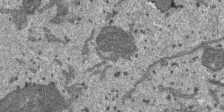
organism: Human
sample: Lung epithelial cells infected with SARS-CoV-2